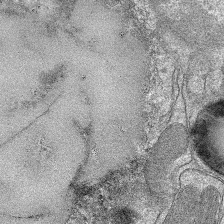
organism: Mouse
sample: Mouse hepatocytes